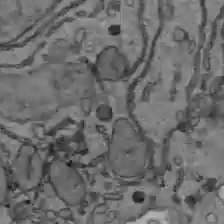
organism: C57BL Mouse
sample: Liver